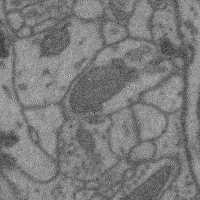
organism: Mouse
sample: Cerebral cortex